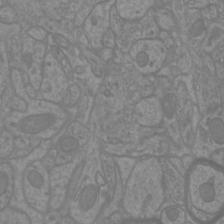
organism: Mouse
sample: Cortical neurons